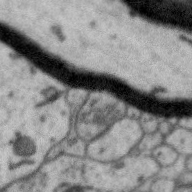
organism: Zebra finch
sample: Brain